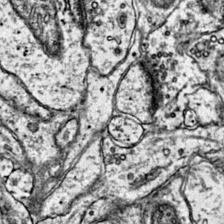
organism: Mouse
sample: Primary visual cortex